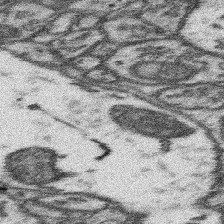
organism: Mouse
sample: Somatosensory cortex neuropil